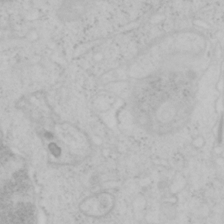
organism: Mouse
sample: OT-I killer T cells with ID8 ovarian cancer cells